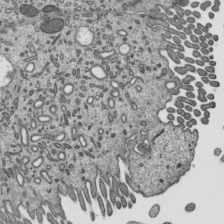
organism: Mouse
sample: Mouse epididymis efferent ductule cilia